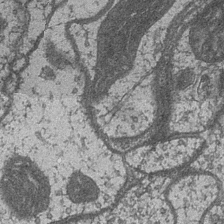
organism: Drosophila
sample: Optic medulla